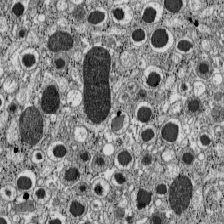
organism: C57BL Mouse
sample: Pancreatic islet